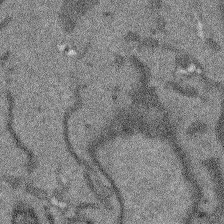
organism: Arabidopsis thaliana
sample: Root tip